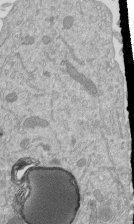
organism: Mouse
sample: ED-1 cell nuclei; centrioles